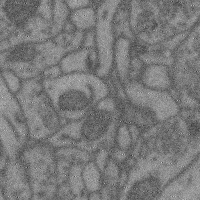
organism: Mouse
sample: Cerebral cortex